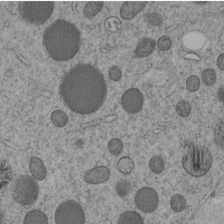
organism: C. elegans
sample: C. elegans embryo early stage